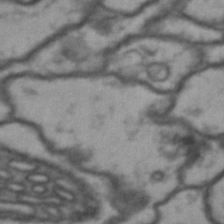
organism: Drosophila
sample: Brain